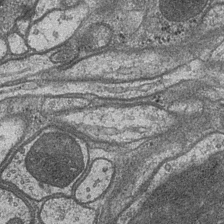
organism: Drosophila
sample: Optic medulla